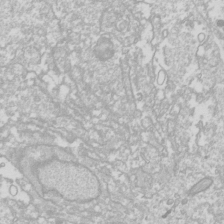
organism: Drosophila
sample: Cell division; meiosis; drosophila spermatocytes